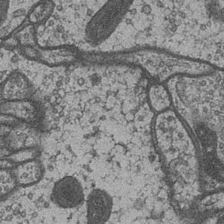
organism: Drosophila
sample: Optic medulla